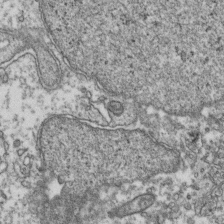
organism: Human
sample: Activated Jurkat CD4+ T cells